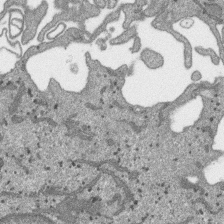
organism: Human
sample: Lung epithelial cells infected with SARS-CoV-2